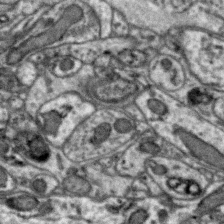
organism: Zebra finch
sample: Brain